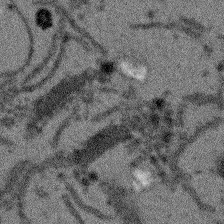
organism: Arabidopsis thaliana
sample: Root tip